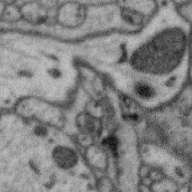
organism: Zebra finch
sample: Brain